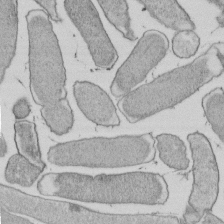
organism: E. coli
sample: Bacterial nucleoid